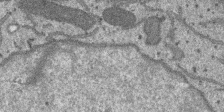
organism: Human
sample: Lung epithelial cells infected with SARS-CoV-2